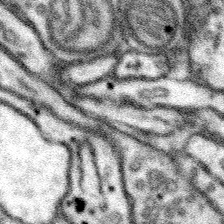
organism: Mouse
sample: Somatosensory cortex neuropil